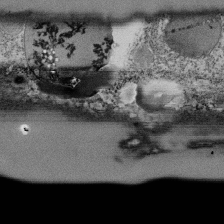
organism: Tetrahymena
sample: Cilia in tetrahymena